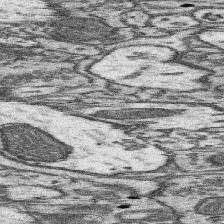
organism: Mouse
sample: Somatosensory cortex neuropil